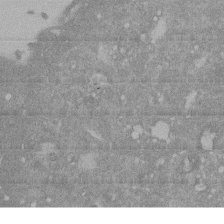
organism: Mouse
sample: ED-1 cell nuclei; centrioles